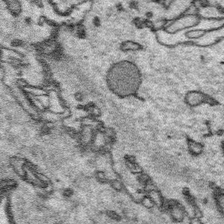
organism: Platynereis dumerilii